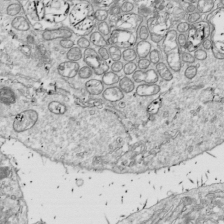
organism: Drosophila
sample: Cell division; meiosis; drosophila spermatocytes